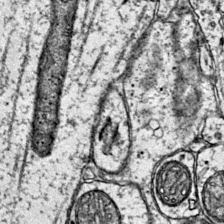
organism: Mouse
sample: Primary visual cortex